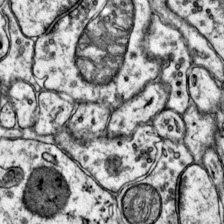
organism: Mouse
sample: Primary visual cortex